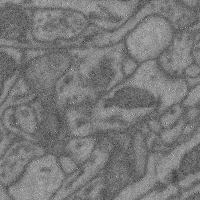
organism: Mouse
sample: Cerebral cortex